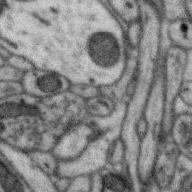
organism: Zebra finch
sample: Brain